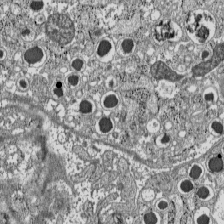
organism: C57BL Mouse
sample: Pancreatic islet